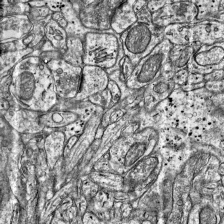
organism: Mouse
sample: Visual Cortex